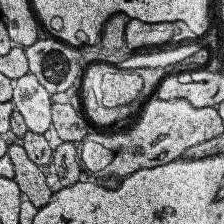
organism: Human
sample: Temporal Lobe